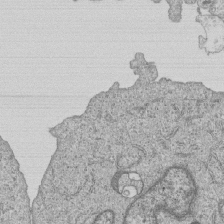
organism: Human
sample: MDA-MB-231 cells